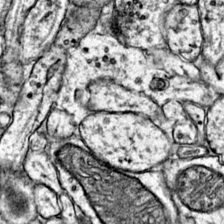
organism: Mouse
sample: Primary visual cortex